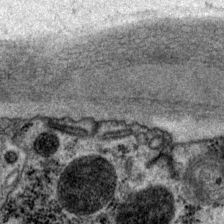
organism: P. pacificus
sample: Pharynx